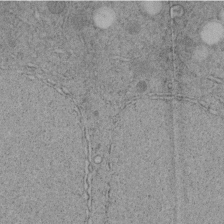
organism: C. elegans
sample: C. elegans embryo early stage